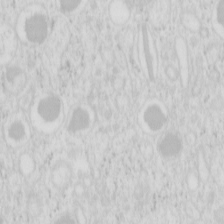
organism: Mouse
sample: Pancreas